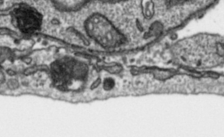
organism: Toxoplasma gondii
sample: Parasites in a vacuole inside a host cell